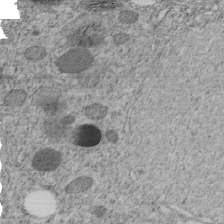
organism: C. elegans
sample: C. elegans embryo early stage